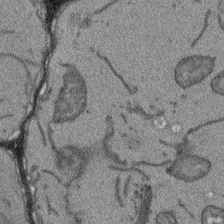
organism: Arabidopsis thaliana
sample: Root tip